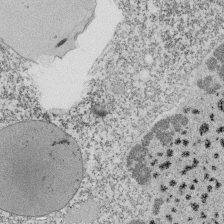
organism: Tetrahymena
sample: Cilia in tetrahymena